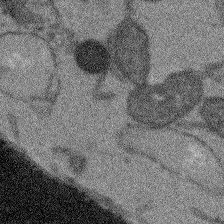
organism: Arabidopsis thaliana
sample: Root tip